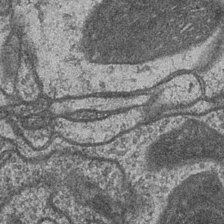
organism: Drosophila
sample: Optic medulla